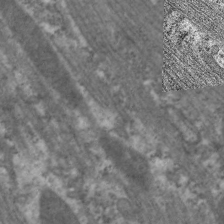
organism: C. elegans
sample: Pharynx